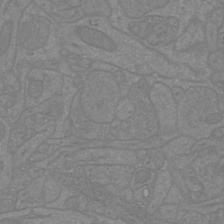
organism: Mouse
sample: Cortical neurons